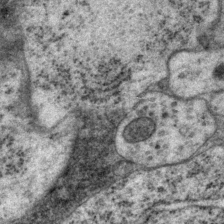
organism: P. pacificus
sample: Pharynx